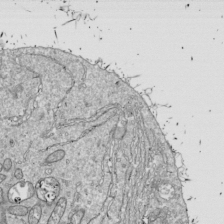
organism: Drosophila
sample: Cell division; meiosis; drosophila spermatocytes